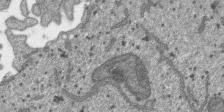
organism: Human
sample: Lung epithelial cells infected with SARS-CoV-2